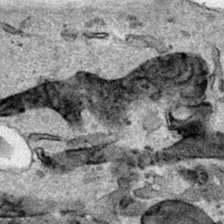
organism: Human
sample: Mitochondria in HCT116 cells